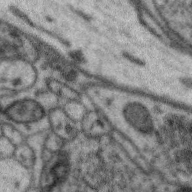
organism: Zebra finch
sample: Brain